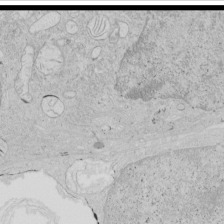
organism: Human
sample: Mitochondria in HCT116 cells